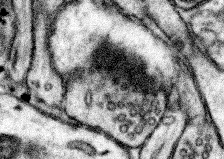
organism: Mouse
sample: Somatosensory cortex neuropil